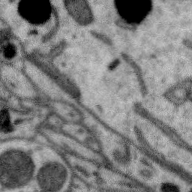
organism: Zebra finch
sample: Brain